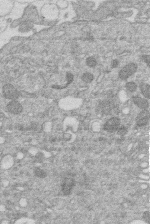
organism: Human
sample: Macrophage cells